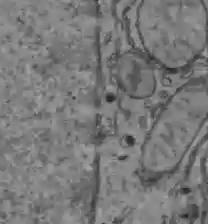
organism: C57BL Mouse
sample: Liver